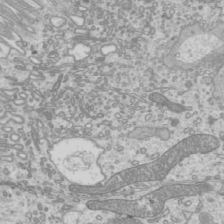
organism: Mouse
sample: Cilia; mouse epididymis